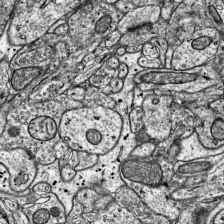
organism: Mouse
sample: Visual Cortex